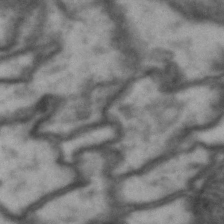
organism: Drosophila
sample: Brain